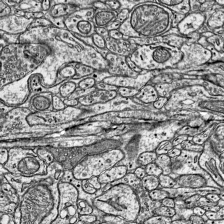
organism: Mouse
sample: Visual Cortex